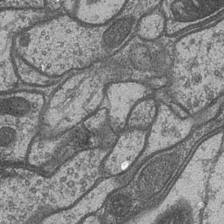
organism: Drosophila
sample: Optic medulla